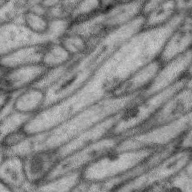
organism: Zebra finch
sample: Brain